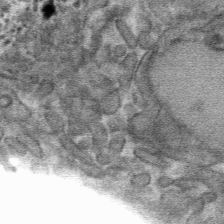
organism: Mouse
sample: Mouse hepatocytes